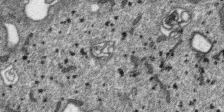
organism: Human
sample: Lung epithelial cells infected with SARS-CoV-2